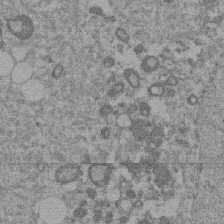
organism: Mouse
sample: Dividing mouse embryo 1 cell stage